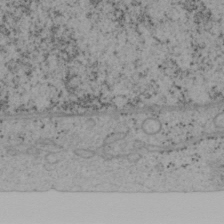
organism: Human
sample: HeLa cells